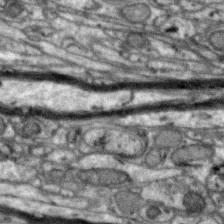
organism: Zebra finch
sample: Brain